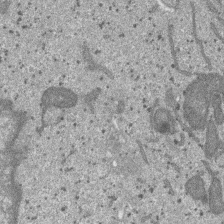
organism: Human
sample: Lung epithelial cells infected with SARS-CoV-2